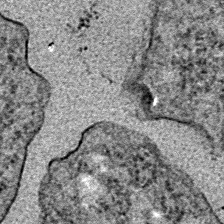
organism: E. coli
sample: E. Coli Bacteria